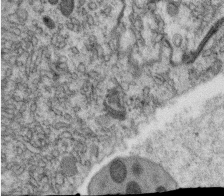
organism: C. elegans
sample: C. elegans oocyte; sperm cells